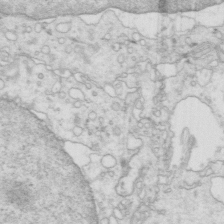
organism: Mouse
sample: Multiciliated cells